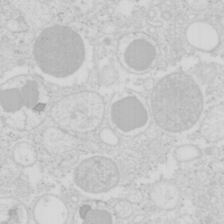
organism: Mouse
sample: Pancreas